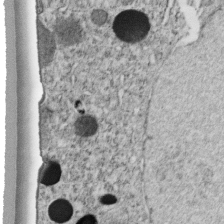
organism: C. elegans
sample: C. elegans embryo early stage